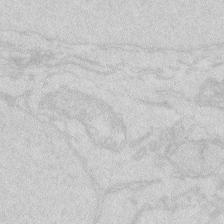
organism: Zebrafish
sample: Macrophage